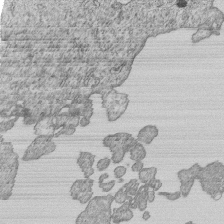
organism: Human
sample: MDA-MB-231 cells